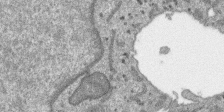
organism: Human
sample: Lung epithelial cells infected with SARS-CoV-2